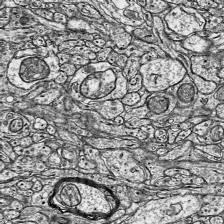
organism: Mouse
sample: Visual Cortex